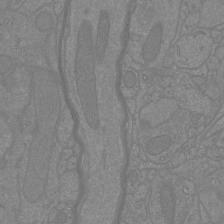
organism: Mouse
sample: Cortical neurons